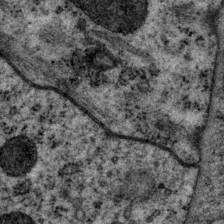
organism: P. pacificus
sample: Pharynx